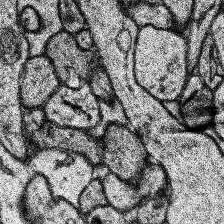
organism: Human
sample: Temporal Lobe